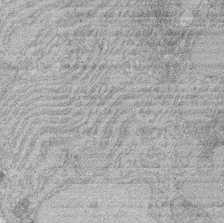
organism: Rat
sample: Salivary granule